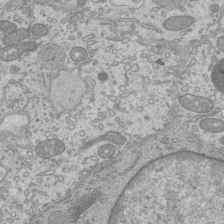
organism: Mouse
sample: Cilia; mouse epididymis